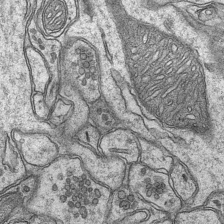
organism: Mouse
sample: CA1 Hippocampus